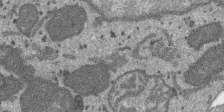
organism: Human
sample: Lung epithelial cells infected with SARS-CoV-2